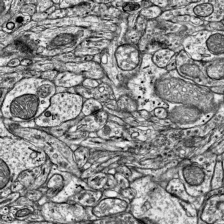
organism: Mouse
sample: Visual Cortex